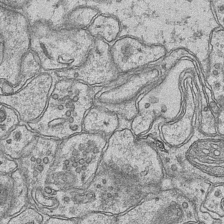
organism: Mouse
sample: CA1 Hippocampus